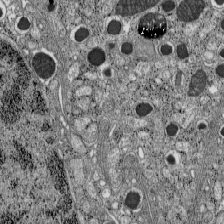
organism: C57BL Mouse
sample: Pancreatic islet